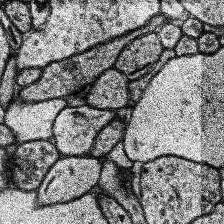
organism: Human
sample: Temporal Lobe